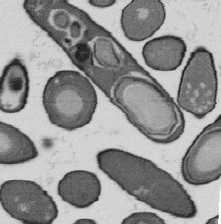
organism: B. subtilis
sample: Bacterial spore